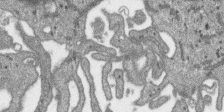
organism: Human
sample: Lung epithelial cells infected with SARS-CoV-2